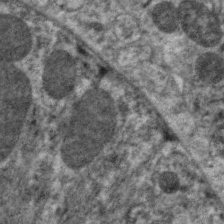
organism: C. elegans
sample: Pharynx